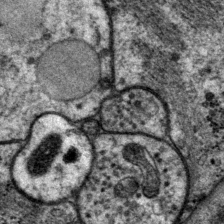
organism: P. pacificus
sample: Pharynx